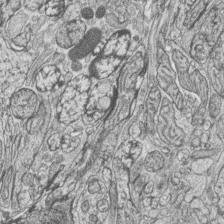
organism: Zebrafish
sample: synaptic ribbons in rod cells and cone cells